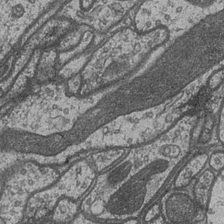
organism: Drosophila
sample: Optic medulla